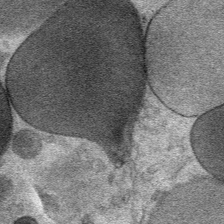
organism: Mouse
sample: Mouse Salivary gland